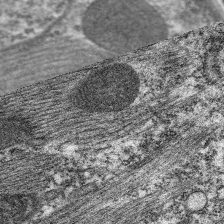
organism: C. elegans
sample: Pharynx